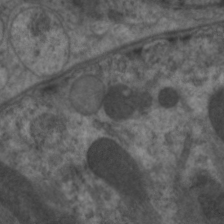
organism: C. elegans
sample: Pharynx